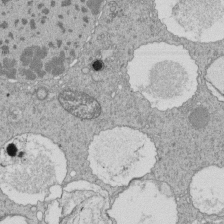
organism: Tetrahymena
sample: Cilia in tetrahymena